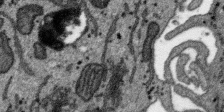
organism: Human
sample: Lung epithelial cells, uninfected (mock) control